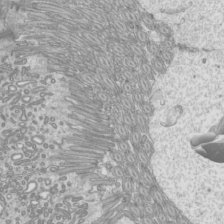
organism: Mouse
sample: Cilia; mouse epididymis